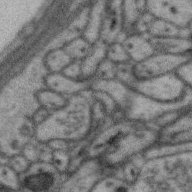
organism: Zebra finch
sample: Brain